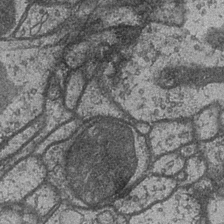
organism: Drosophila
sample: Optic medulla